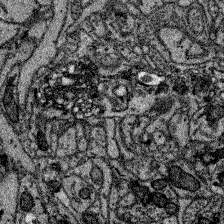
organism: Zebrafish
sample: Larval olfactory bulb